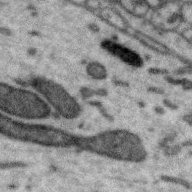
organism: Zebra finch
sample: Brain